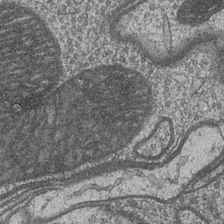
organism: Drosophila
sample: Optic medulla